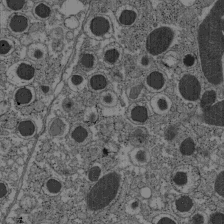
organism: C57BL Mouse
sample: Pancreatic islet